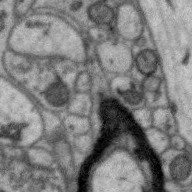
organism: Zebra finch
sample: Brain